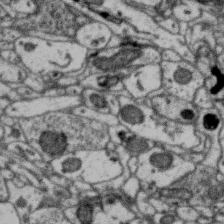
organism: Zebra finch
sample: Brain